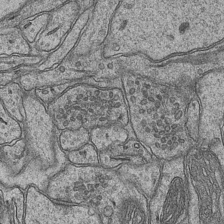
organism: Mouse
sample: CA1 Hippocampus